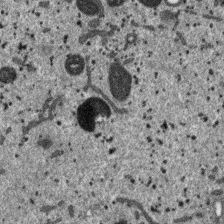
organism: Human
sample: Lung epithelial cells infected with SARS-CoV-2